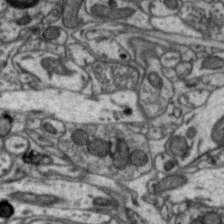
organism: Zebra finch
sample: Brain